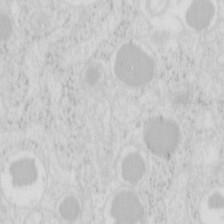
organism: Mouse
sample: Pancreas